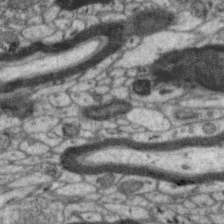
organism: Zebra finch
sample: Brain